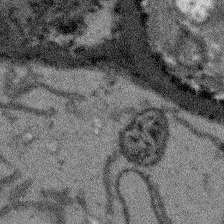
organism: Arabidopsis thaliana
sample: Root tip